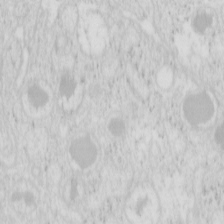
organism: Mouse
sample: Pancreas